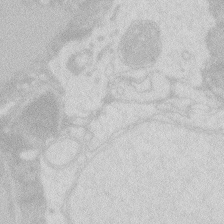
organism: Zebrafish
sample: Macrophage